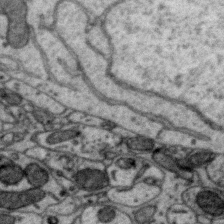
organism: Zebra finch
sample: Brain